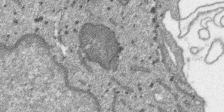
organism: Human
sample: Lung epithelial cells infected with SARS-CoV-2